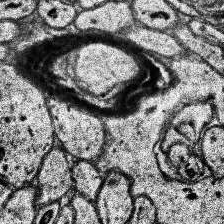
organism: Human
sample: Temporal Lobe